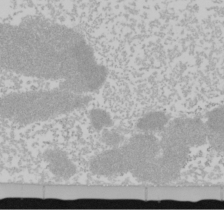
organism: Mouse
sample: Cancer cell death in ED-1 cells